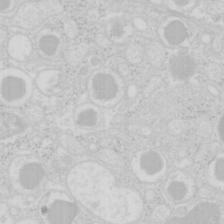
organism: Mouse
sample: Pancreas